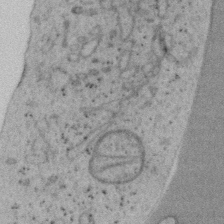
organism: Human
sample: HeLa cells